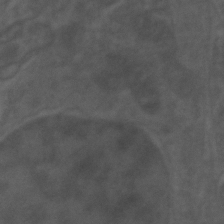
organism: Zebrafish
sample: Zebrafish embryo